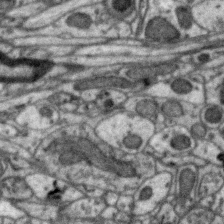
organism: Zebra finch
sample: Brain